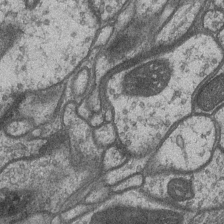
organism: Drosophila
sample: Optic medulla